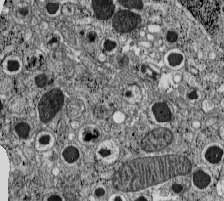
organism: C57BL Mouse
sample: Pancreatic islet